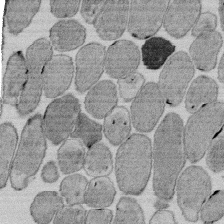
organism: E. coli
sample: Bacterial nucleoid